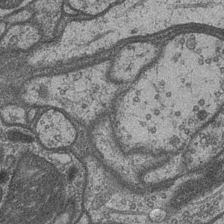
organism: Drosophila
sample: Optic medulla